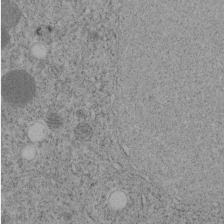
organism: C. elegans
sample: C. elegans embryo early stage